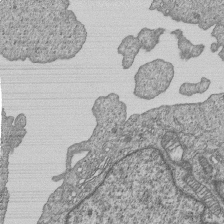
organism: Human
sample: MDA-MB-231 cells